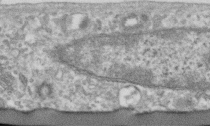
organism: Human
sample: Centriole in RPE cells